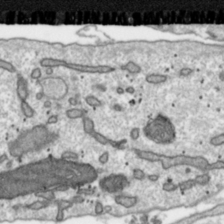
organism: Toxoplasma gondii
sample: Parasites in a vacuole inside a host cell